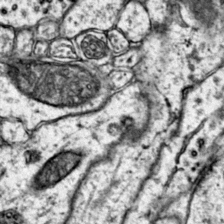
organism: Mouse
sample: Primary visual cortex